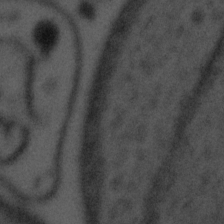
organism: Tuwongella immobilis